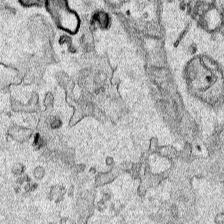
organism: Human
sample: Mitochondria in HCT116 cells